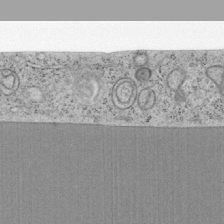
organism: Human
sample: HeLa cells